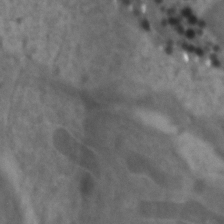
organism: Zebrafish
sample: Zebrafish embryo